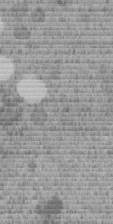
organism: C. elegans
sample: C. elegans embryo early stage